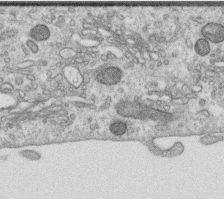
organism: Human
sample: Centriole in RPE cells